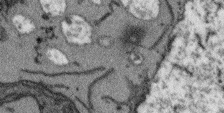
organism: Arabidopsis thaliana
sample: Root tip